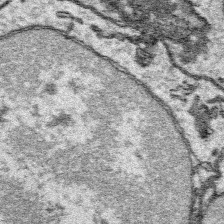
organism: Platynereis dumerilii